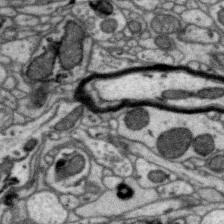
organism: Zebra finch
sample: Brain